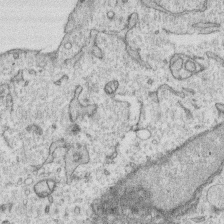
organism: Human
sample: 1205lu cells